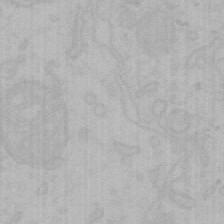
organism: Mouse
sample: Choroid plexus